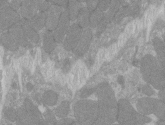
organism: C57BL Mouse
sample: Tibialis anterior muscle cell